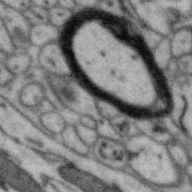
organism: Zebra finch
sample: Brain